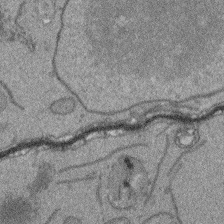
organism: Arabidopsis thaliana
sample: Root tip